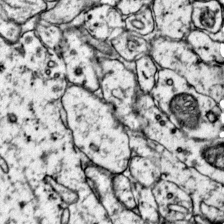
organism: Mouse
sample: Primary visual cortex